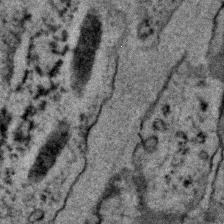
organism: C. elegans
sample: C. elegans embryo